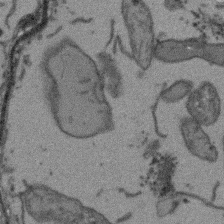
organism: Arabidopsis thaliana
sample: Root tip